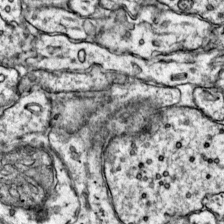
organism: Mouse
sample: Primary visual cortex